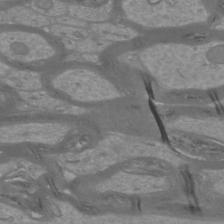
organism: Mouse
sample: Cortical neurons